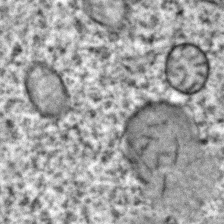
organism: C. elegans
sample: C. elegans embryo